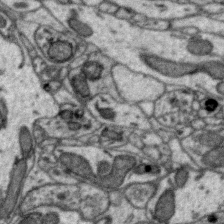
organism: Zebra finch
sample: Brain